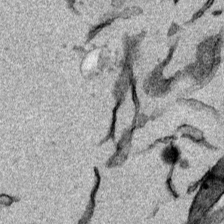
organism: Mouse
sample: Cancer cell death in ED-1 cells